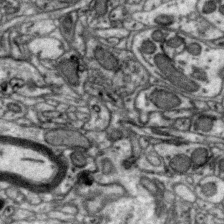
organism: Zebra finch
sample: Brain